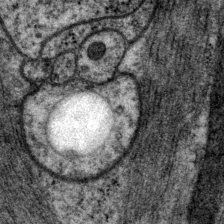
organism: P. pacificus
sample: Pharynx